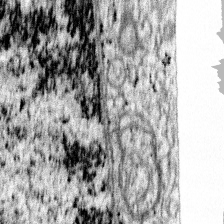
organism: Human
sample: HeLa cells